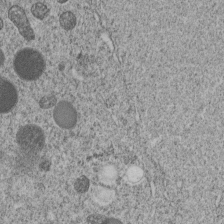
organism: C. elegans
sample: C. elegans embryo early stage